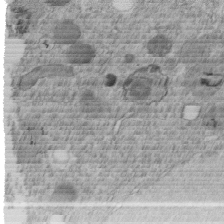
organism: C. elegans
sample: C. elegans embryo early stage